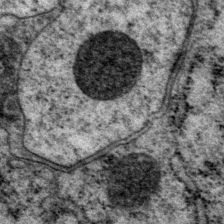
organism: P. pacificus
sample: Pharynx